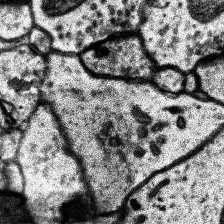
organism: Human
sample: Temporal Lobe